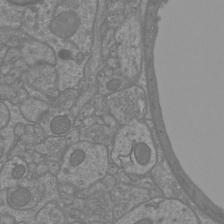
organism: Mouse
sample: Cortical neurons